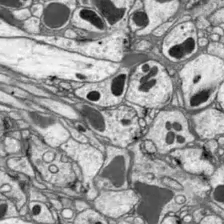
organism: Drosophila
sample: Optic lobe